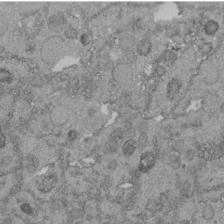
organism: C. elegans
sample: C. elegans embryo early stage